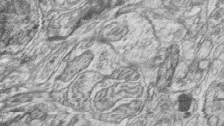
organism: Zebrafish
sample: synaptic ribbons in rod cells and cone cells